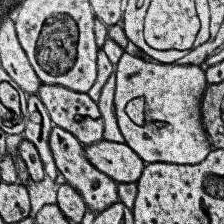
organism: Human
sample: Temporal Lobe